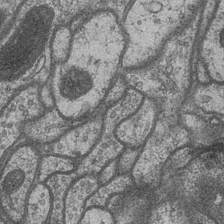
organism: Drosophila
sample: Optic medulla